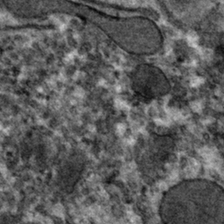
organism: Mouse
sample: Mouse hepatocytes